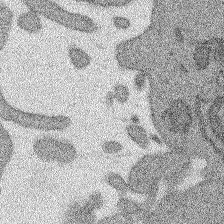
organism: Human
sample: HeLa cells